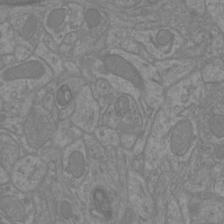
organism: Mouse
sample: Cortical neurons